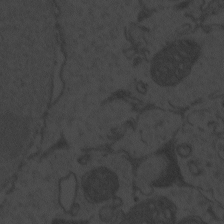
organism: Zebrafish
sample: Macrophage infected with Toxoplasma gondii